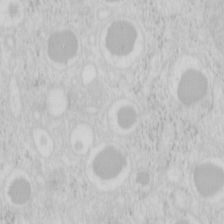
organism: Mouse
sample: Pancreas